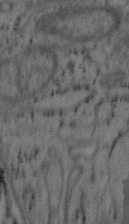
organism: Human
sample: HeLa cells